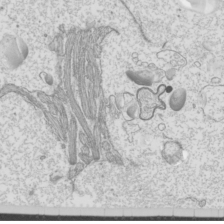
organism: Mouse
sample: Cilia; mouse epididymis